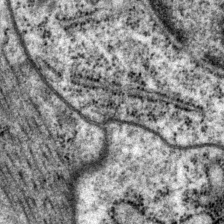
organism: P. pacificus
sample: Pharynx